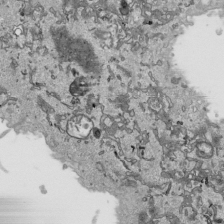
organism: Human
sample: Mitochondria in HCT116 cells